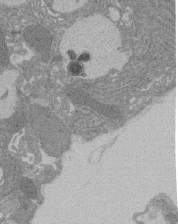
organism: Rat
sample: Salivary granule